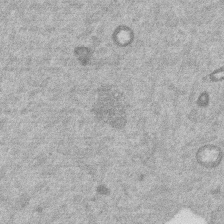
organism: Mouse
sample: Dividing mouse embryo 1 cell stage